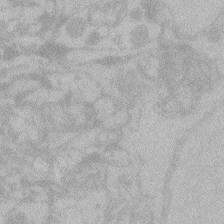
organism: Zebrafish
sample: Macrophage infected with Toxoplasma gondii